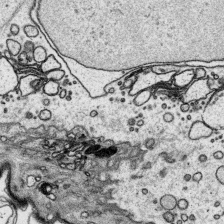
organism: Platynereis dumerilii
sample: Parapodia